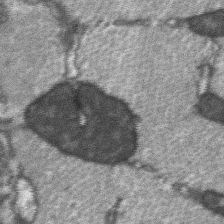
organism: C57BL Mouse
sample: Soleus